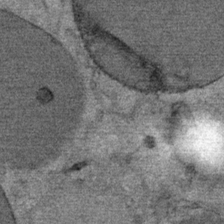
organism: Mouse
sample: Mouse Salivary gland